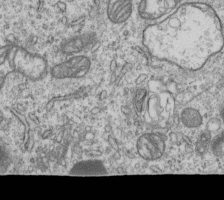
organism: Human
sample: MDA-MB-231 cells